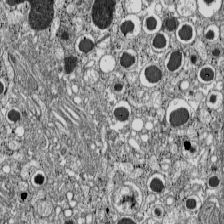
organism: C57BL Mouse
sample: Pancreatic islet